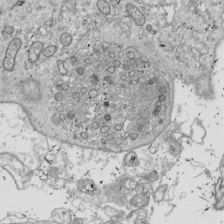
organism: Drosophila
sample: Cell division; meiosis; drosophila spermatocytes